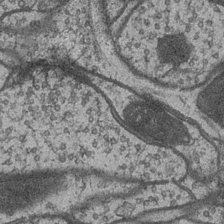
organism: Drosophila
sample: Optic medulla